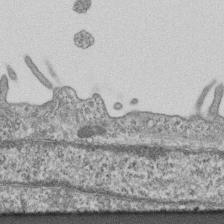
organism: Mouse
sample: Centriole in ependymal cells